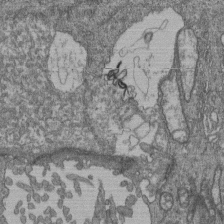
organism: Human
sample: Retinal organoid Rod and Cone cells